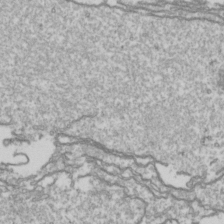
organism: Drosophila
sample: Cell division; meiosis; drosophila spermatocytes